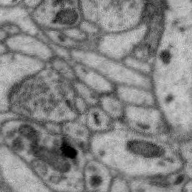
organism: Zebra finch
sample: Brain